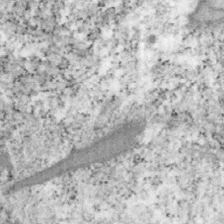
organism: Mouse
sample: OT-I killer T cells with ID8 ovarian cancer cells